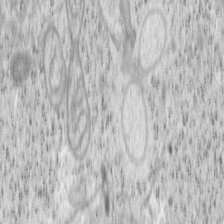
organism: Human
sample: HeLa cells